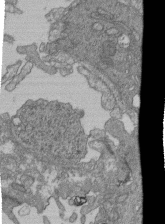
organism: Human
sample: Retinal organoid Rod and Cone cells